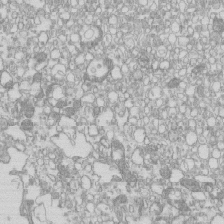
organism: Mouse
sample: Macrophages